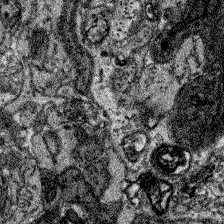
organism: Zebrafish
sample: Larval olfactory bulb